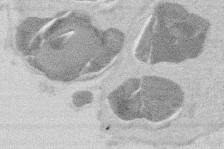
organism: Mouse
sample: T cell stromal cell synapse